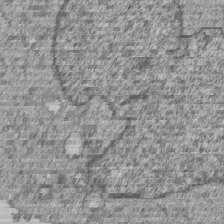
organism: Human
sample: MDA-MB-231 cells